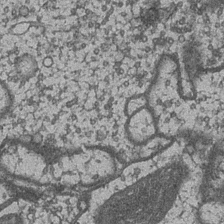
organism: Drosophila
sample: Optic medulla